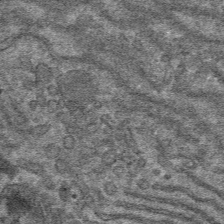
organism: Mouse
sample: Mouse hepatocytes